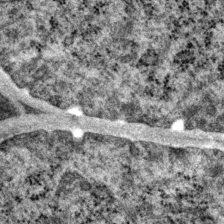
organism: P. pacificus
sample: Pharynx